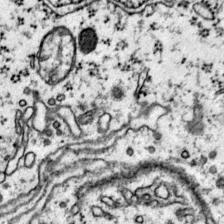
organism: Mouse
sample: Primary visual cortex